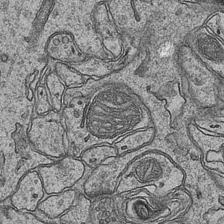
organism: Mouse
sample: CA1 Hippocampus